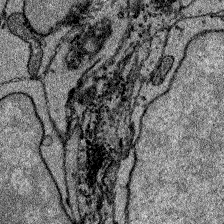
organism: Zebrafish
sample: Larval olfactory bulb